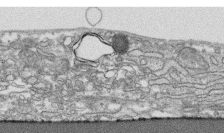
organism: Human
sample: CRL-1474